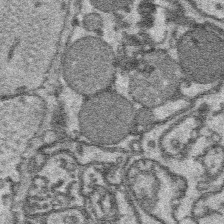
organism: Platynereis dumerilii